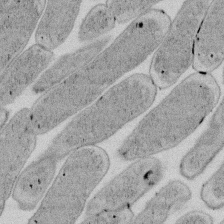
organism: E. coli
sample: Bacterial nucleoid